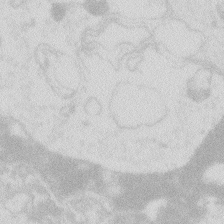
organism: Zebrafish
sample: Macrophage